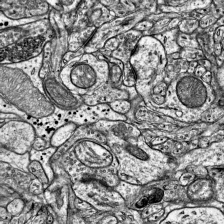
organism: Mouse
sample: Visual Cortex